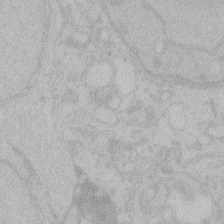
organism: Zebrafish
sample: Macrophage infected with Toxoplasma gondii